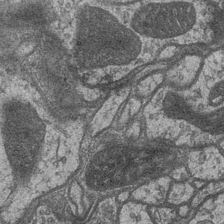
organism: Drosophila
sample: Optic medulla